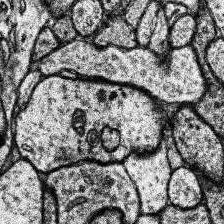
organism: Human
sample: Temporal Lobe